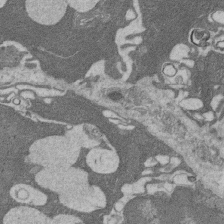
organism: Rat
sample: Salivary granule